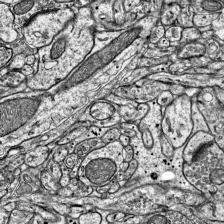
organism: Mouse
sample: Visual Cortex